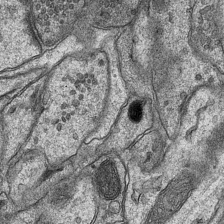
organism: Mouse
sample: CA1 Hippocampus